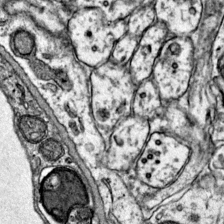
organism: Mouse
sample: Primary visual cortex